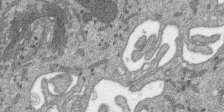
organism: Human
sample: Lung epithelial cells infected with SARS-CoV-2